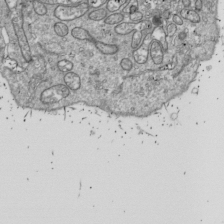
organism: Drosophila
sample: Cell division; meiosis; drosophila spermatocytes